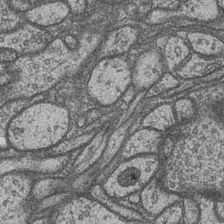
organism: Drosophila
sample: Optic medulla